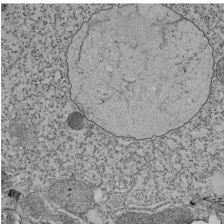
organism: Tetrahymena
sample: Cilia in tetrahymena